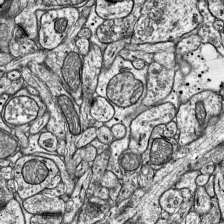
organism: Mouse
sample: Visual Cortex